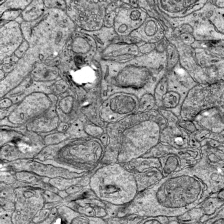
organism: Mouse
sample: Visual Cortex